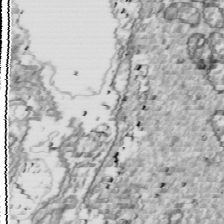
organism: Drosophila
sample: Cell division; meiosis; drosophila spermatocytes